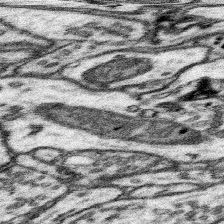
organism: Mouse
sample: Somatosensory cortex neuropil